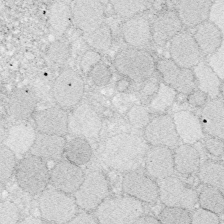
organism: Zebrafish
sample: Whole-Brain